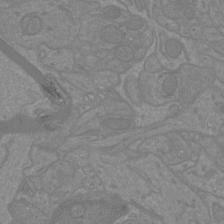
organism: Mouse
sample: Cortical neurons